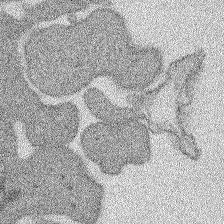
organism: Human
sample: HeLa cells